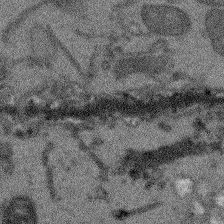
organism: Arabidopsis thaliana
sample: Root tip